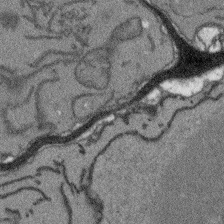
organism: Arabidopsis thaliana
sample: Root tip